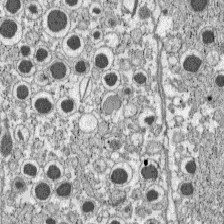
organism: C57BL Mouse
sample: Pancreatic islet